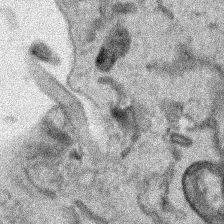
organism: Human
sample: Mitochondria in HCT116 cells